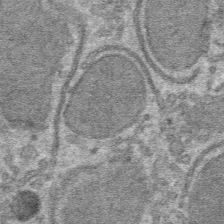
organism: Mouse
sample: Mouse hepatocytes